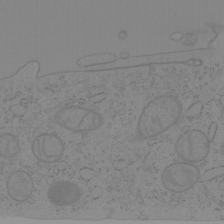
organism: Human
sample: HeLa cells